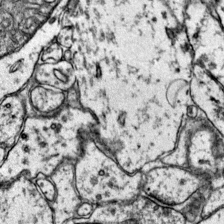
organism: Mouse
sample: Primary visual cortex